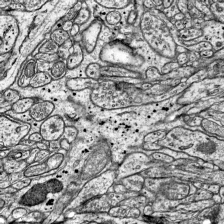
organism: Mouse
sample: Visual Cortex